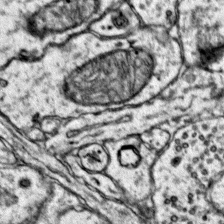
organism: Mouse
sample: Primary visual cortex